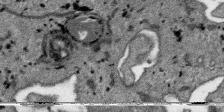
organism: Human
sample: Lung epithelial cells, uninfected (mock) control